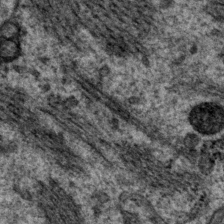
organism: P. pacificus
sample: Pharynx